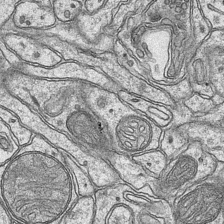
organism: Mouse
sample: CA1 Hippocampus